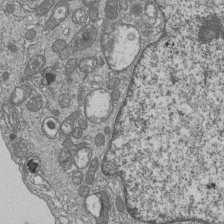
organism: Human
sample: MDA-MB-231 cells